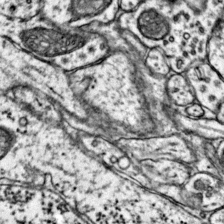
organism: Mouse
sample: Primary visual cortex